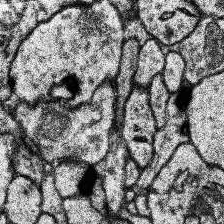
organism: Human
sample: Temporal Lobe